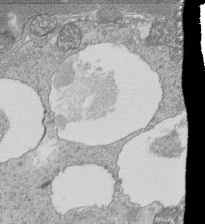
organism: Tetrahymena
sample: Cilia in tetrahymena